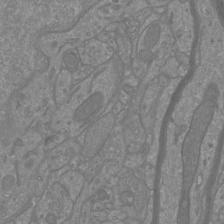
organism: Mouse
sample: Cortical neurons